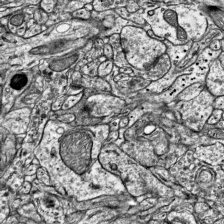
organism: Mouse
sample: Visual Cortex